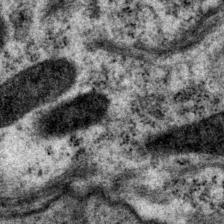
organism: P. pacificus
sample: Pharynx